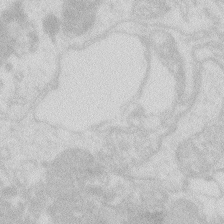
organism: Zebrafish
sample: Macrophage